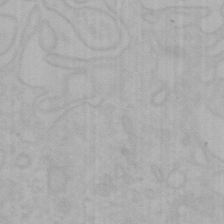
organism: Mouse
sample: Choroid plexus